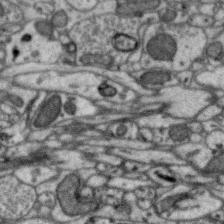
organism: Zebra finch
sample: Brain